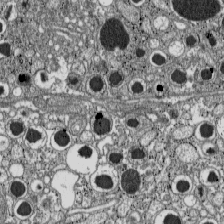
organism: C57BL Mouse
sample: Pancreatic islet